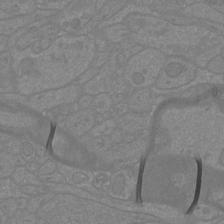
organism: Mouse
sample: Cortical neurons